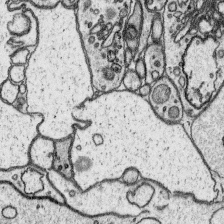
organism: Platynereis dumerilii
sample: Parapodia